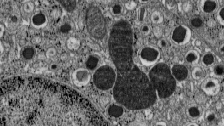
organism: C57BL Mouse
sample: Pancreatic islet